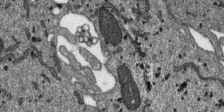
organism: Human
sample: Lung epithelial cells infected with SARS-CoV-2